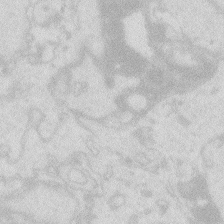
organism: Zebrafish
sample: Macrophage